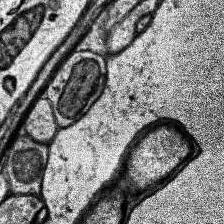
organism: Human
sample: Temporal Lobe